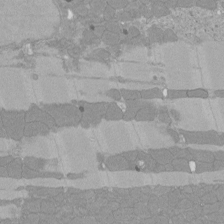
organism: Rat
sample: Left ventricle